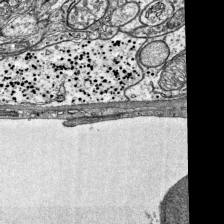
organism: Mouse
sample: Visual Cortex